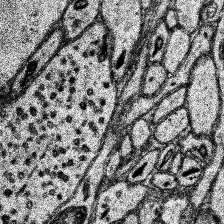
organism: Human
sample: Temporal Lobe